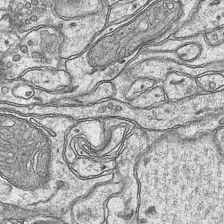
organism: Mouse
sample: CA1 Hippocampus